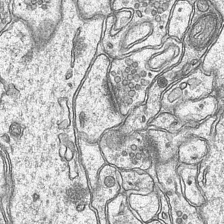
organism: Mouse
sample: CA1 Hippocampus